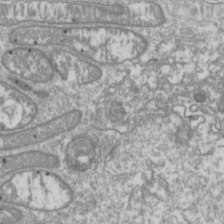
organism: Drosophila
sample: Cell division; meiosis; drosophila spermatocytes